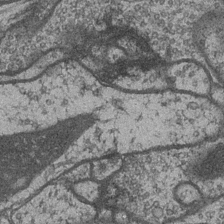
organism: Drosophila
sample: Optic medulla